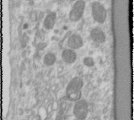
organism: Human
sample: Cilia; basal body in RPE cells